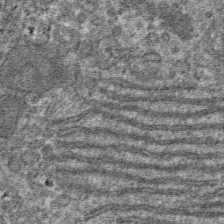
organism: Mouse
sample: Mouse hepatocytes